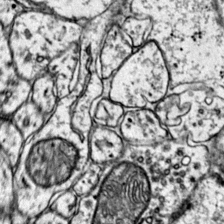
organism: Mouse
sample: Primary visual cortex